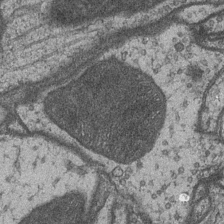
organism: Drosophila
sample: Optic medulla